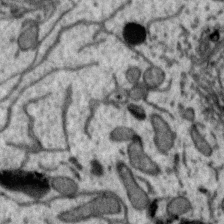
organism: Zebra finch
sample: Brain